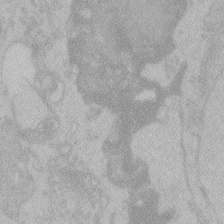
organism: Zebrafish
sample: Macrophage infected with Toxoplasma gondii